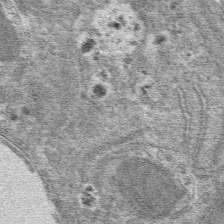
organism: Mouse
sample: Mouse hepatocytes